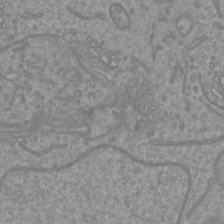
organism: Mouse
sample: Cortical neurons